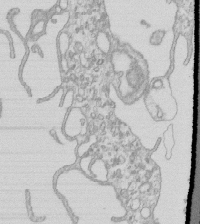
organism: Mouse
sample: Macrophages